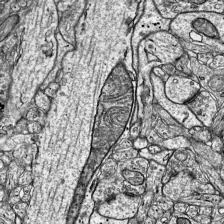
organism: Mouse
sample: Visual Cortex